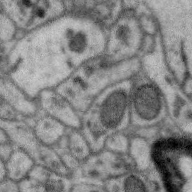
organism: Zebra finch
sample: Brain